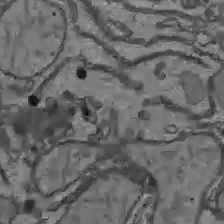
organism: C57BL Mouse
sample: Liver